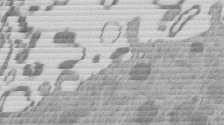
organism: Mouse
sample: Dividing mouse embryo 1 cell stage